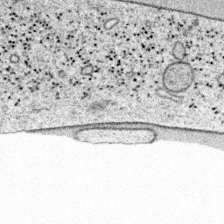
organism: Human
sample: HeLa cells